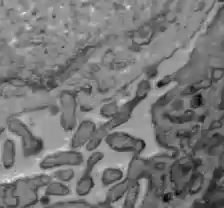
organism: C57BL Mouse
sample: Liver